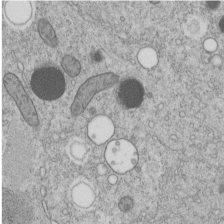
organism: C. elegans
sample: C. elegans embryo early stage